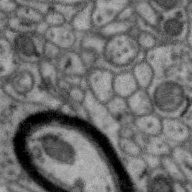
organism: Zebra finch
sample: Brain